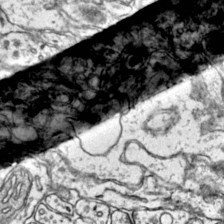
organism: Mouse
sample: Primary visual cortex